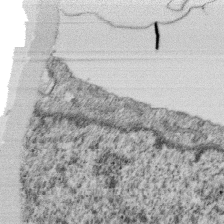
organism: African green monkey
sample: Vero E6 cells infected with SARS-CoV-2